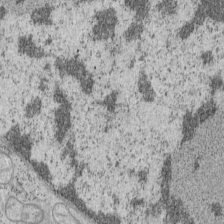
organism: Mouse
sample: OT-I killer T cells with ID8 ovarian cancer cells